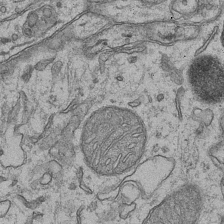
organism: Mouse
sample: CA1 Hippocampus